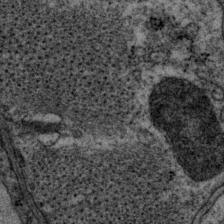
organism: P. pacificus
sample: Pharynx